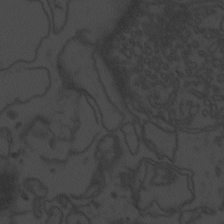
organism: Zebrafish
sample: Macrophage infected with Toxoplasma gondii